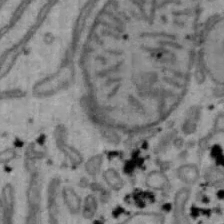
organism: Mouse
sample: Liver